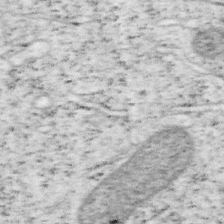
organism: Mouse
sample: OT-I killer T cells with ID8 ovarian cancer cells